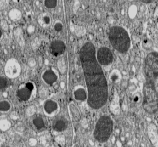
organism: C57BL Mouse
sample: Pancreatic islet